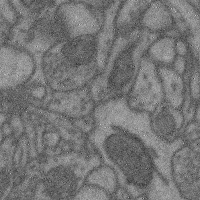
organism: Mouse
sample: Cerebral cortex